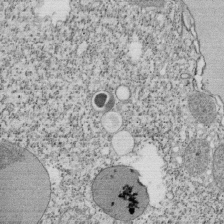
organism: Tetrahymena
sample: Cilia in tetrahymena